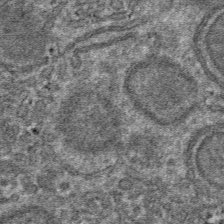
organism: Mouse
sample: Mouse hepatocytes